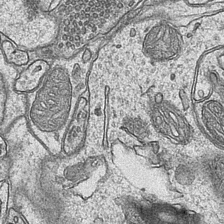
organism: Mouse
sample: CA1 Hippocampus